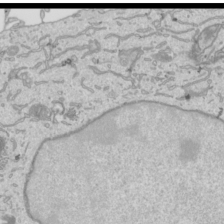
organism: Human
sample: Mitochondria in HCT116 cells